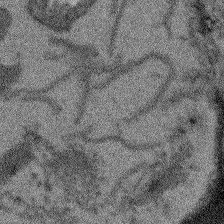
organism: Arabidopsis thaliana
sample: Root tip